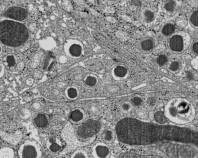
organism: C57BL Mouse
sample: Pancreatic islet